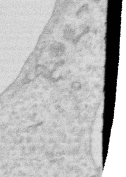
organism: Human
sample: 1205lu cells